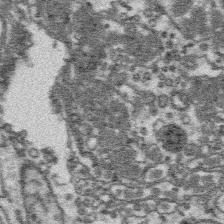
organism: Platynereis dumerilii